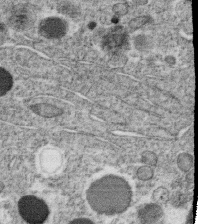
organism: C. elegans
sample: C. elegans oocyte; sperm cells